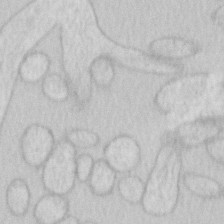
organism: Human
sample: HeLa cells